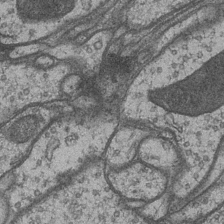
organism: Drosophila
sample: Optic medulla